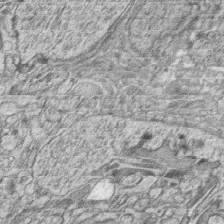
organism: Zebrafish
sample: synaptic ribbons in rod cells and cone cells